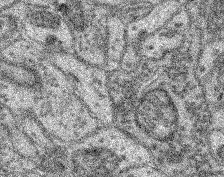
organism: Mouse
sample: Retina